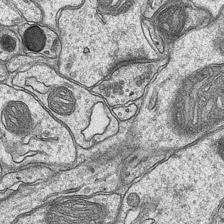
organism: Mouse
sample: CA1 Hippocampus